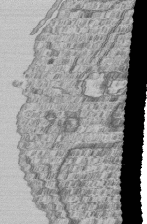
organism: Human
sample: MDA-MB-231 cells